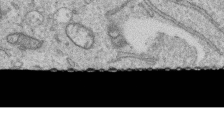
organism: Human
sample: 1205lu cells